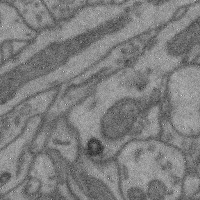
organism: Mouse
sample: Cerebral cortex